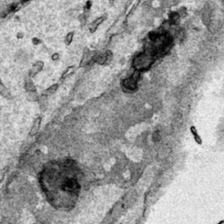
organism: Human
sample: Mitochondria in HCT116 cells